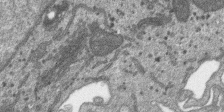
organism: Human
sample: Lung epithelial cells infected with SARS-CoV-2